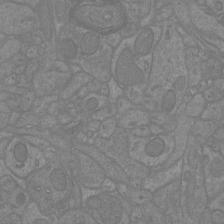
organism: Mouse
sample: Cortical neurons